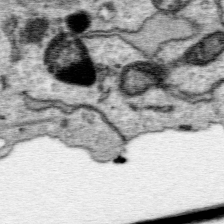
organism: Human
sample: HeLa cells